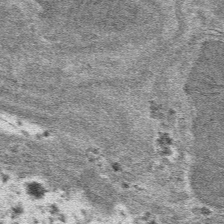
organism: Mouse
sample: Mouse hepatocytes